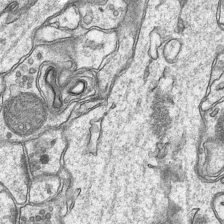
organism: Mouse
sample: CA1 Hippocampus